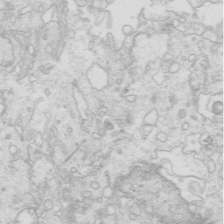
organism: Mouse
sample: Multiciliated cells